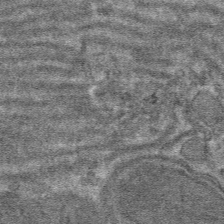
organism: Mouse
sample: Mouse hepatocytes